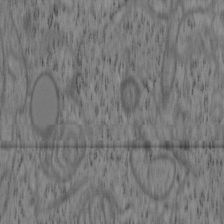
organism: Human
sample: HeLa cells